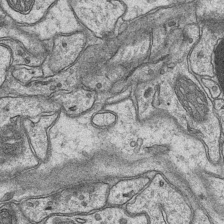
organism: Mouse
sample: CA1 Hippocampus